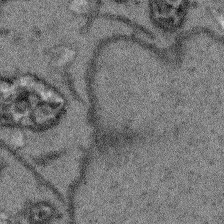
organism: Arabidopsis thaliana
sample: Root tip